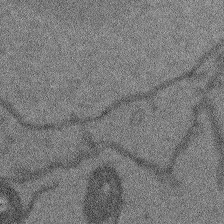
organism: Arabidopsis thaliana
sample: Root tip